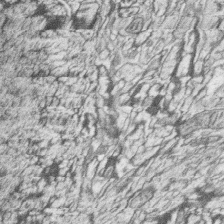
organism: Zebrafish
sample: synaptic ribbons in rod cells and cone cells